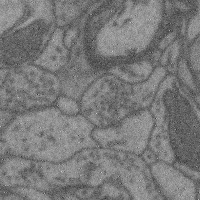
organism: Mouse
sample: Cerebral cortex